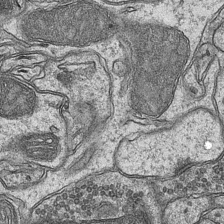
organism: Mouse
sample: CA1 Hippocampus